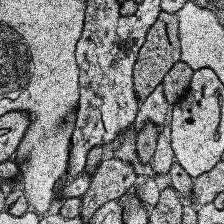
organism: Human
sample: Temporal Lobe